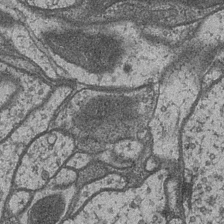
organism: Drosophila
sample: Optic medulla